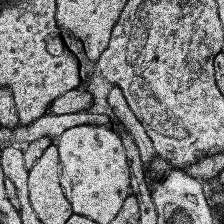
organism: Human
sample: Temporal Lobe